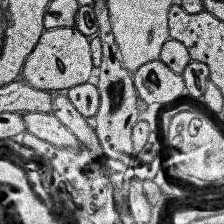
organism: Human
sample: Temporal Lobe